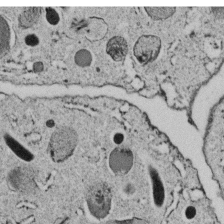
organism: C. elegans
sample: C. elegans embryo early stage